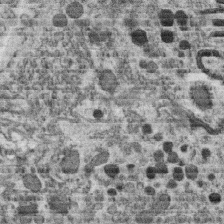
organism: C. elegans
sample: C. elegans oocyte; sperm cells